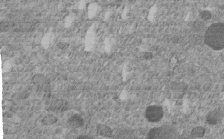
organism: C. elegans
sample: C. elegans embryo early stage